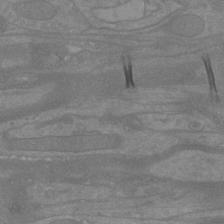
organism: Mouse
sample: Cortical neurons